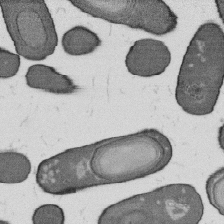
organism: B. subtilis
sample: Bacterial spore